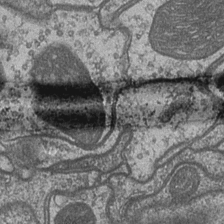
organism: Drosophila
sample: Optic medulla